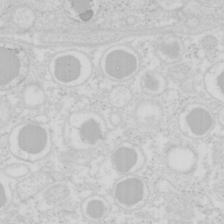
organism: Mouse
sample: Pancreas